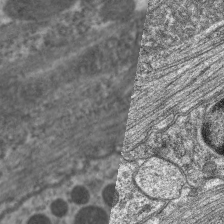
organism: C. elegans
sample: Pharynx